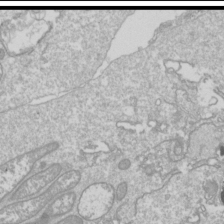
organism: Drosophila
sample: Cell division; meiosis; drosophila spermatocytes